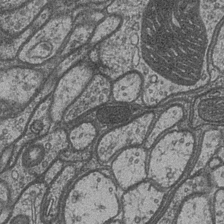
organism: Drosophila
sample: Optic medulla